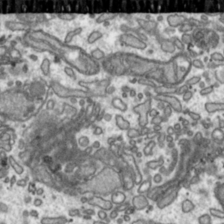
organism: Toxoplasma gondii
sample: Parasites in a vacuole inside a host cell